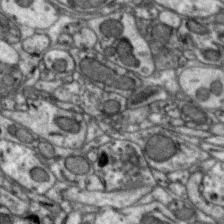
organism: Zebra finch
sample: Brain